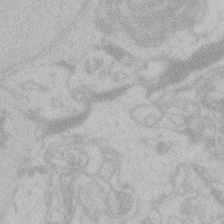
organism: Zebrafish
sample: Macrophage infected with Toxoplasma gondii